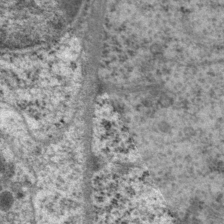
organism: P. pacificus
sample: Pharynx